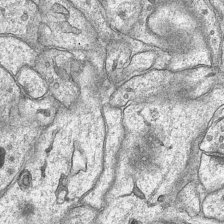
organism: Mouse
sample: CA1 Hippocampus